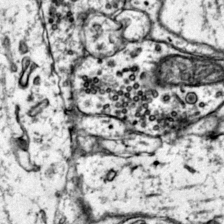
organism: Mouse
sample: Primary visual cortex